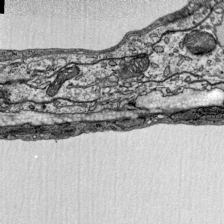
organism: Mouse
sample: Visual Cortex